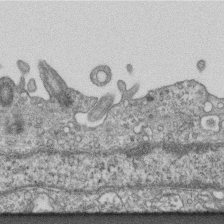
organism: Mouse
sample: Centriole in ependymal cells